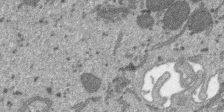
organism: Human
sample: Lung epithelial cells infected with SARS-CoV-2